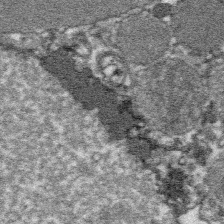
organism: Platynereis dumerilii